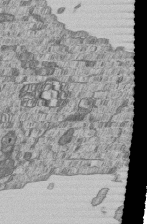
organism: Human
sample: MDA-MB-231 cells